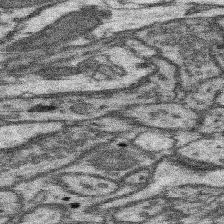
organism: Mouse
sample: Somatosensory cortex neuropil